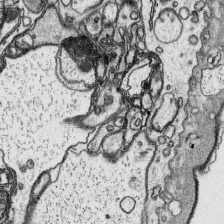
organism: Platynereis dumerilii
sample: Parapodia